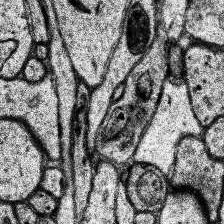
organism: Human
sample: Temporal Lobe